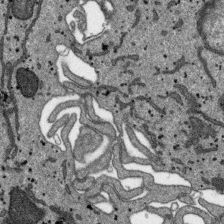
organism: Human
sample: Lung epithelial cells, uninfected (mock) control